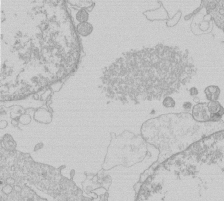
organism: Human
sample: Macrophage cells